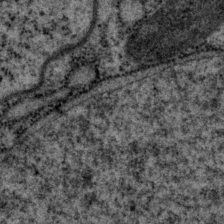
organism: P. pacificus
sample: Pharynx